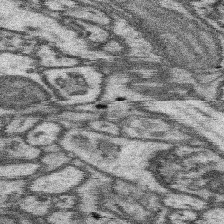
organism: Mouse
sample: Somatosensory cortex neuropil